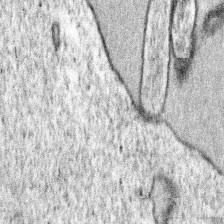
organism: Human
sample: HeLa cells